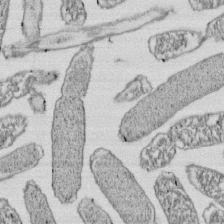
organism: E. coli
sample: Bacterial nucleoid